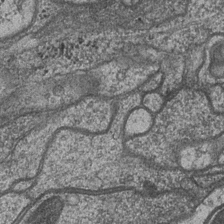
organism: Drosophila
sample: Optic medulla